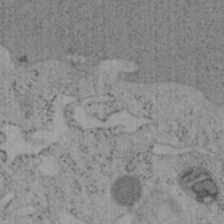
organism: Mouse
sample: OT-I killer T cells with ID8 ovarian cancer cells